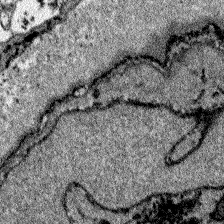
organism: Zebrafish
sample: Larval olfactory bulb